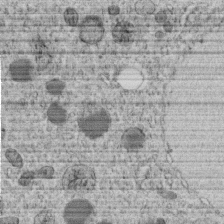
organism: C. elegans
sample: C. elegans embryo early stage